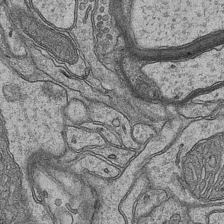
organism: Mouse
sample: CA1 Hippocampus